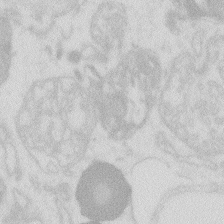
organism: Zebrafish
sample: Macrophage